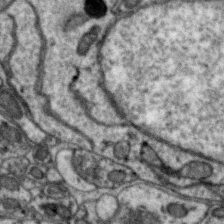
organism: Zebra finch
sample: Brain